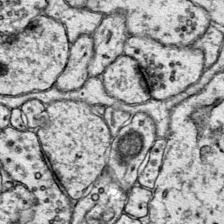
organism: Mouse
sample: Primary visual cortex